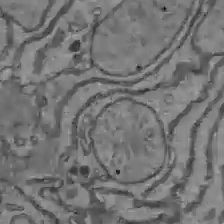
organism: C57BL Mouse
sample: Liver